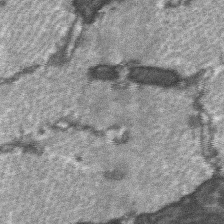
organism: C57BL Mouse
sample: Soleus